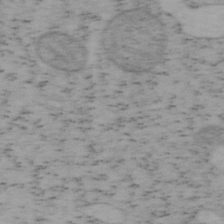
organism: Mouse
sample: OT-I killer T cells with ID8 ovarian cancer cells